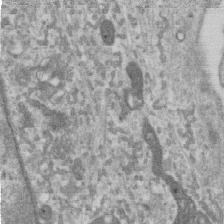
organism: Human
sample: Centriole in RPE cells